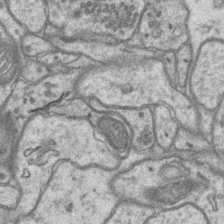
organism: Mouse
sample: CA1 Hippocampus